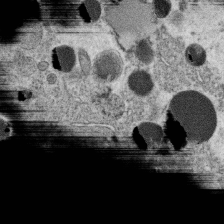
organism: C. elegans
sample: C. elegans oocyte; sperm cells